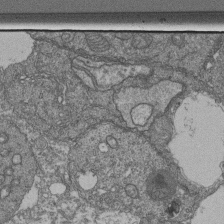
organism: Human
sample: Retinal organoid Rod and Cone cells